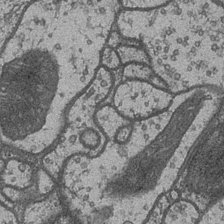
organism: Drosophila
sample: Optic medulla